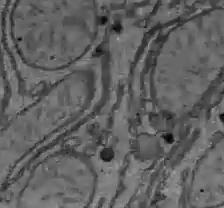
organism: C57BL Mouse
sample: Liver